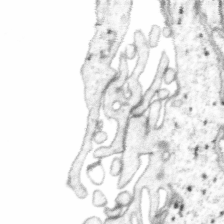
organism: Human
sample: HeLa cells